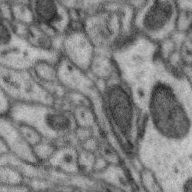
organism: Zebra finch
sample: Brain